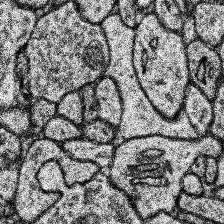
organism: Human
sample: Temporal Lobe